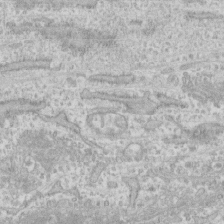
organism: Human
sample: CRL-1474